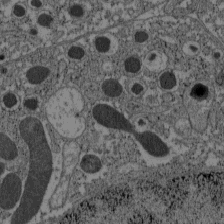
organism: C57BL Mouse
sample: Pancreatic islet